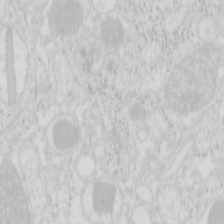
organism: Mouse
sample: Pancreas